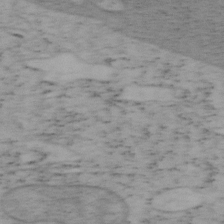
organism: Mouse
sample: OT-I killer T cells with ID8 ovarian cancer cells